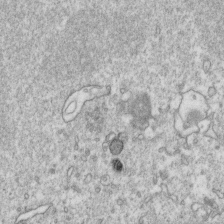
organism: Mouse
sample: Activated OT-1 CD8+ T cells